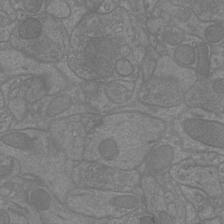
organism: Mouse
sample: Cortical neurons